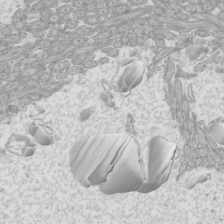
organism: Mouse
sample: Cilia; mouse epididymis